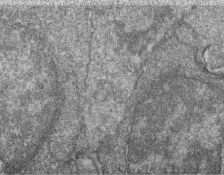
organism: Zebrafish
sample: Cilia; retinal pigment epithelium